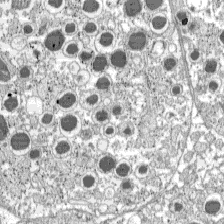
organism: C57BL Mouse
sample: Pancreatic islet